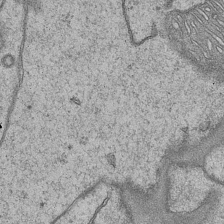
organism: Mouse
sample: CA1 Hippocampus